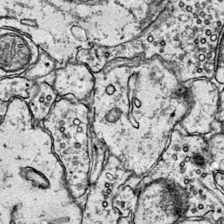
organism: Mouse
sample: Primary visual cortex